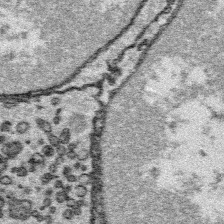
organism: Platynereis dumerilii